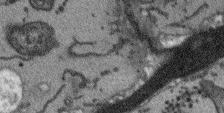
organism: Arabidopsis thaliana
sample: Root tip